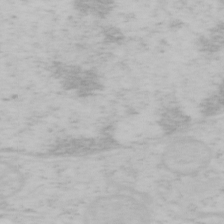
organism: Mouse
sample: OT-I killer T cells with ID8 ovarian cancer cells